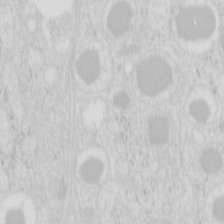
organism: Mouse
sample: Pancreas